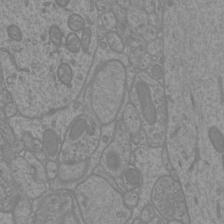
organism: Mouse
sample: Cortical neurons